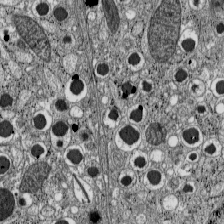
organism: C57BL Mouse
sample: Pancreatic islet